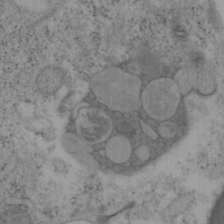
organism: Mouse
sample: OT-I killer T cells with ID8 ovarian cancer cells